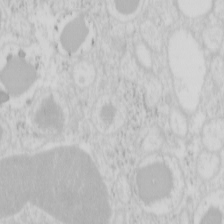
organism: Mouse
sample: Pancreas